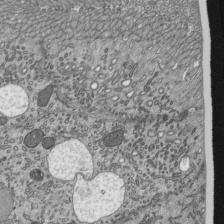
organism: Mouse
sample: Mouse epididymis efferent ductule cilia